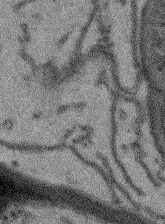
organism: Arabidopsis thaliana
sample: Root tip